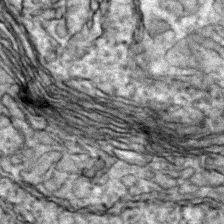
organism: Zebrafish